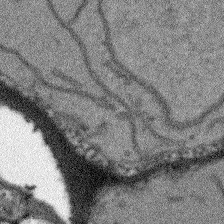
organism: Arabidopsis thaliana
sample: Root tip